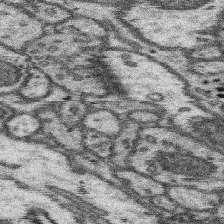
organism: Mouse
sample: Somatosensory cortex neuropil